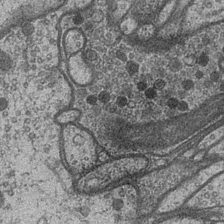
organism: Drosophila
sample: Optic medulla